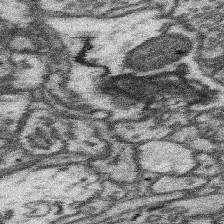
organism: Mouse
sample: Somatosensory cortex neuropil